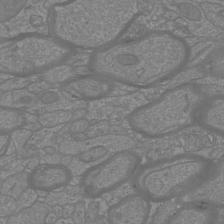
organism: Mouse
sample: Cortical neurons